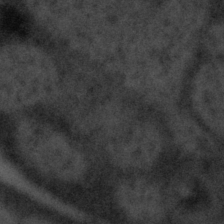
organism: Tuwongella immobilis